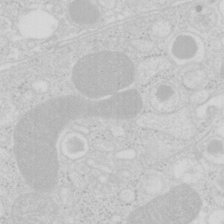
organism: Mouse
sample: Pancreas